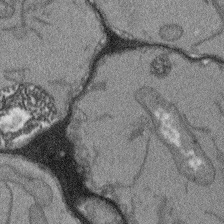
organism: Arabidopsis thaliana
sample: Root tip